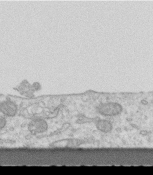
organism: Mouse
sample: Centriole in ependymal cells